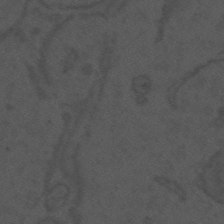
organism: Mouse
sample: Suprachiasmatic nucleus